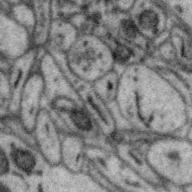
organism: Zebra finch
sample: Brain